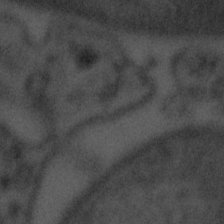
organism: Tuwongella immobilis